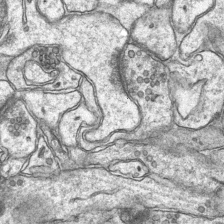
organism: Mouse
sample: CA1 Hippocampus